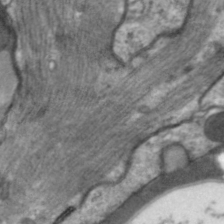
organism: C. elegans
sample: Pharynx